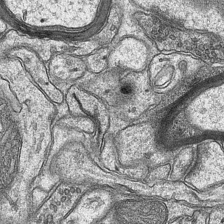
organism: Mouse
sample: CA1 Hippocampus